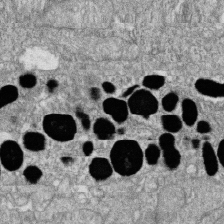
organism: Zebrafish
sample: Cilia; retinal pigment epithelium